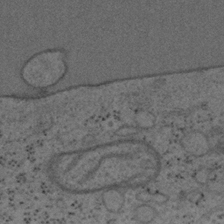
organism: Human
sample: HeLa cells